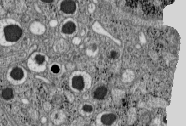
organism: C57BL Mouse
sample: Pancreatic islet